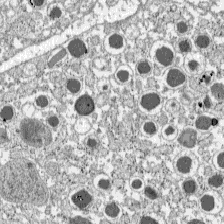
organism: C57BL Mouse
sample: Pancreatic islet